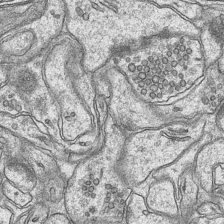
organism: Mouse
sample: CA1 Hippocampus